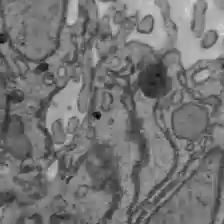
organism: C57BL Mouse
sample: Liver